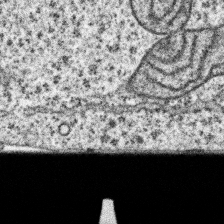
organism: Human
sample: HeLa cells